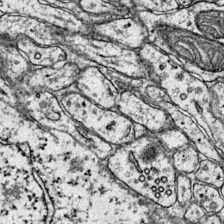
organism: Mouse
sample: Primary visual cortex